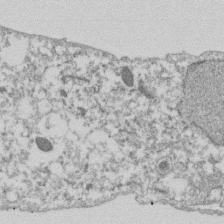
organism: Dictyostelium discoideum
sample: Dictyostelium multivesicular bodies